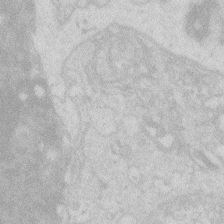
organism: Zebrafish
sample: Macrophage